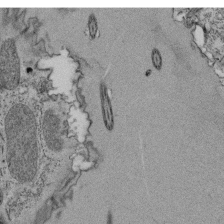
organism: Tetrahymena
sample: Cilia in tetrahymena